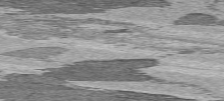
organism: C57BL Mouse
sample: Heart